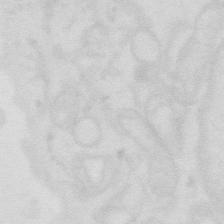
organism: Human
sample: HeLa cells